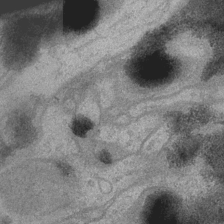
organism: Drosophila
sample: Optic medulla